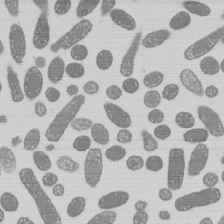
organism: E. coli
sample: Bacterial nucleoid